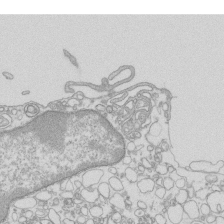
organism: Mouse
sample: Macrophages